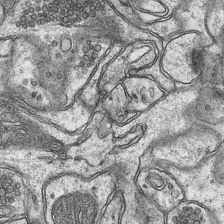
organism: Mouse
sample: CA1 Hippocampus